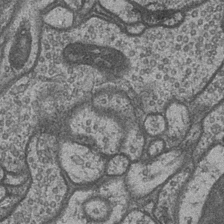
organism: Drosophila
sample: Optic medulla